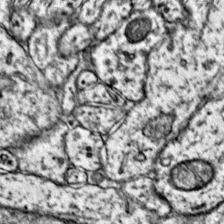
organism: Mouse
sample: Primary visual cortex